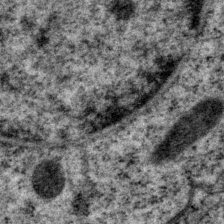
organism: P. pacificus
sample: Pharynx